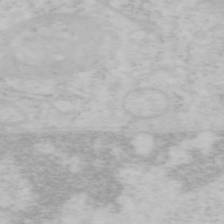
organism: Mouse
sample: OT-I killer T cells with ID8 ovarian cancer cells